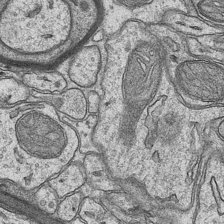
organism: Mouse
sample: CA1 Hippocampus